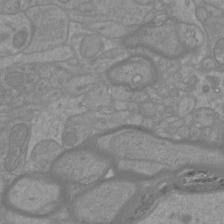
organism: Mouse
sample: Cortical neurons